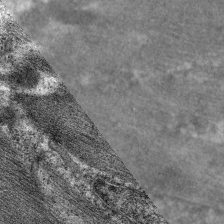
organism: C. elegans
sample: Pharynx